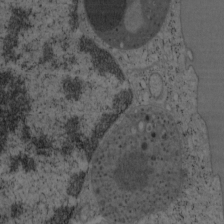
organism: Mouse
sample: OT-I killer T cells with ID8 ovarian cancer cells